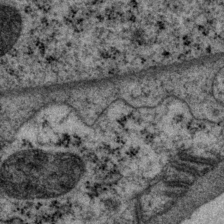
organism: P. pacificus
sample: Pharynx